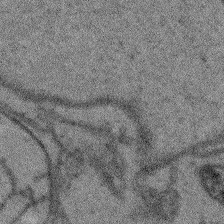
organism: Arabidopsis thaliana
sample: Root tip